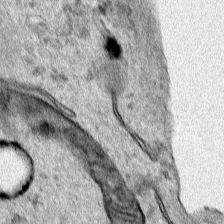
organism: Human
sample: Mitochondria in HCT116 cells